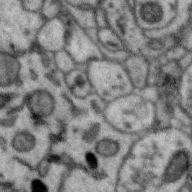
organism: Zebra finch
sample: Brain